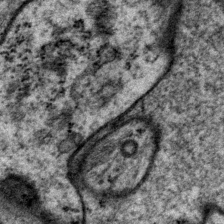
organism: P. pacificus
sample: Pharynx